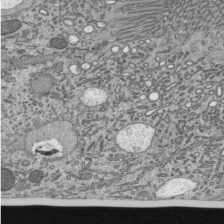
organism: Mouse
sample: Mouse epididymis efferent ductule cilia